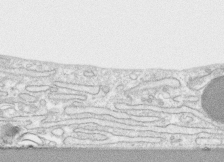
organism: Human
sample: CRL-1474